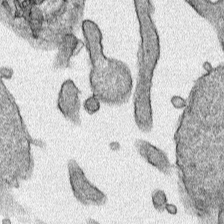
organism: Human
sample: Mitochondria in HCT116 cells